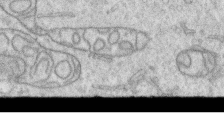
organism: Human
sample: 1205lu cells